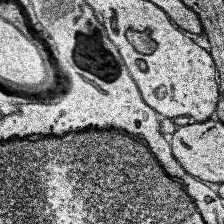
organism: Human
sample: Temporal Lobe